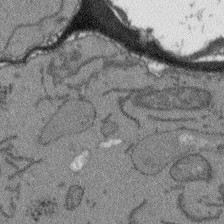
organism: Arabidopsis thaliana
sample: Root tip